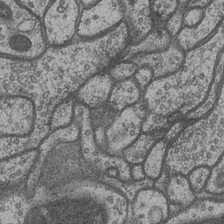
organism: Drosophila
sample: Optic medulla